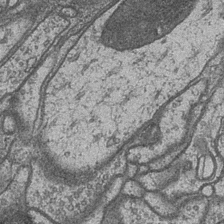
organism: Drosophila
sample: Optic medulla